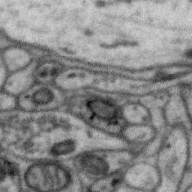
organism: Zebra finch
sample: Brain